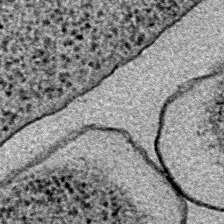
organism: E. coli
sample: E. Coli Bacteria